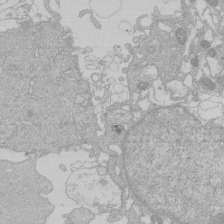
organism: Human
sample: Macrophage cells